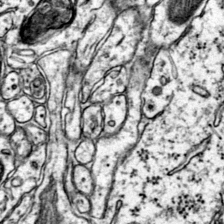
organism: Mouse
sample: Primary visual cortex